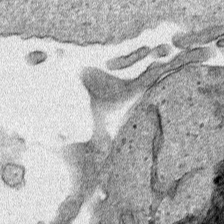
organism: Human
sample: Mitochondria in HCT116 cells